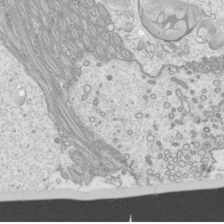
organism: Mouse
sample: Cilia; mouse epididymis